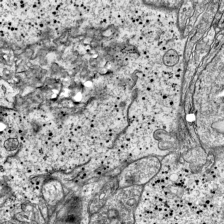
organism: Mouse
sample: Visual Cortex